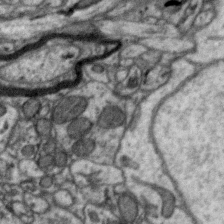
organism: Zebra finch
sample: Brain